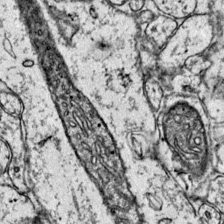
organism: Mouse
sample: Primary visual cortex